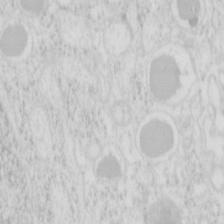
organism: Mouse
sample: Pancreas